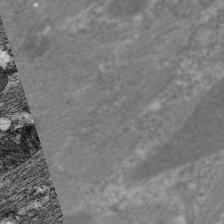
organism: C. elegans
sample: Pharynx